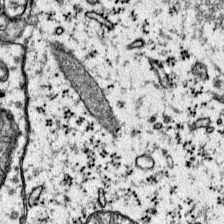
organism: Mouse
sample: Primary visual cortex